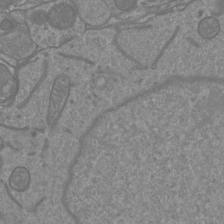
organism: Mouse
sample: Cortical neurons